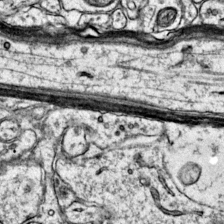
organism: Mouse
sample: Primary visual cortex